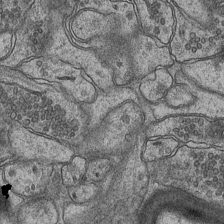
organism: Mouse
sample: CA1 Hippocampus